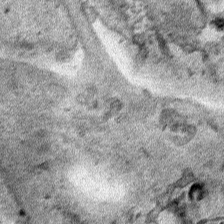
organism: Human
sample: Mitochondria in HCT116 cells